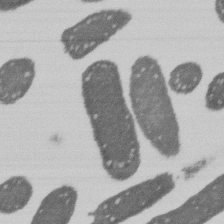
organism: E. coli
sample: Bacterial nucleoid